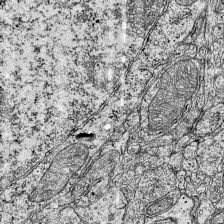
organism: Mouse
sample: Visual Cortex